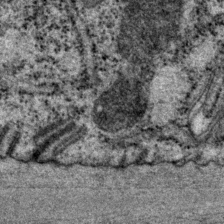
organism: P. pacificus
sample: Pharynx